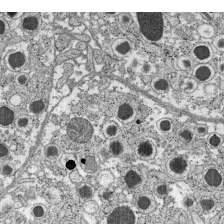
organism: C57BL Mouse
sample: Pancreatic islet